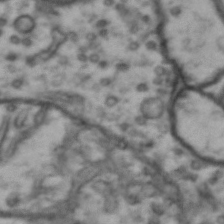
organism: Drosophila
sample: Brain